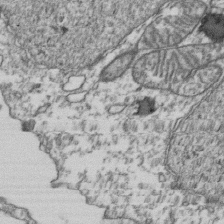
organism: Human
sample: Activated Jurkat CD4+ T cells